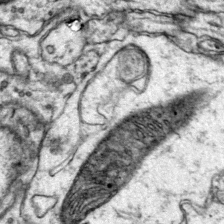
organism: Mouse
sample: Primary visual cortex